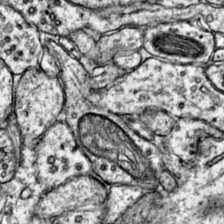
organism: Mouse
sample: Primary visual cortex